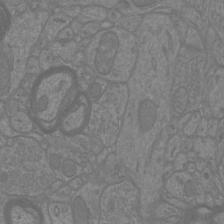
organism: Mouse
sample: Cortical neurons